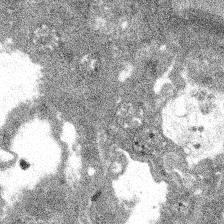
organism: Spongilla lacustris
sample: Multiple